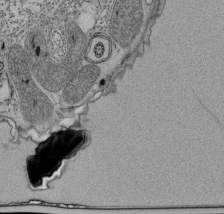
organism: Tetrahymena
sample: Cilia in tetrahymena